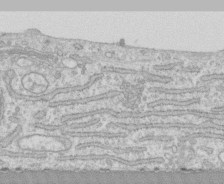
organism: Human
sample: CRL-1474